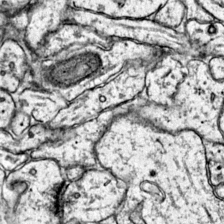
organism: Mouse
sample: Primary visual cortex